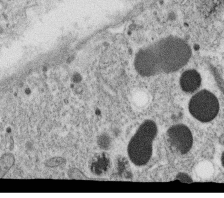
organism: C. elegans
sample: C. elegans oocyte; sperm cells